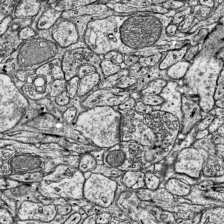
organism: Mouse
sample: Visual Cortex